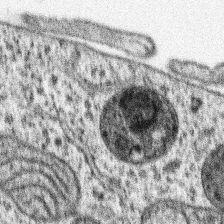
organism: Human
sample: HeLa cells